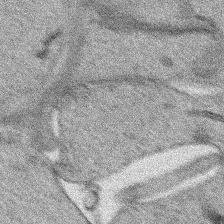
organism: Human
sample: Mitochondria in HCT116 cells